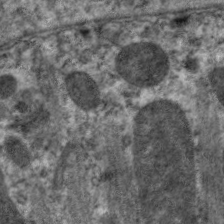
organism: C. elegans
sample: Pharynx